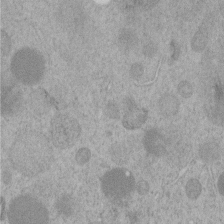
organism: C. elegans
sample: C. elegans embryo early stage